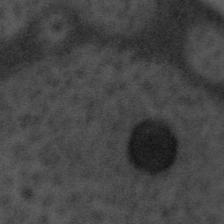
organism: Tuwongella immobilis